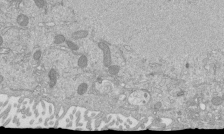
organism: Mouse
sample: ED-1 cell nuclei; centrioles